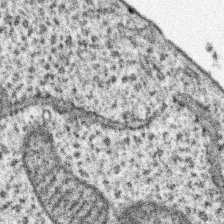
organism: Human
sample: HeLa cells